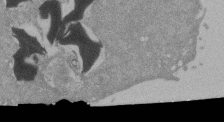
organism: Mouse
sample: ED-1 cell nuclei; centrioles